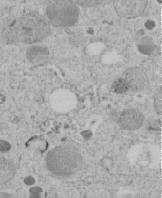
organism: C. elegans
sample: C. elegans embryo early stage